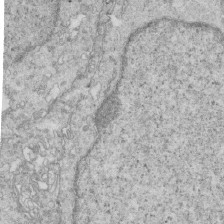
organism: Mouse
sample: Multiciliated cells